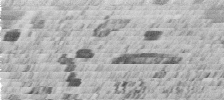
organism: C. elegans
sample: C. elegans embryo early stage